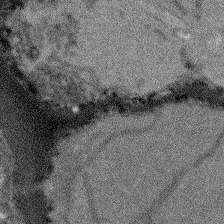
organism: Arabidopsis thaliana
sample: Root tip